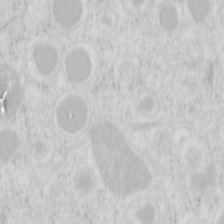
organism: Mouse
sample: Pancreas